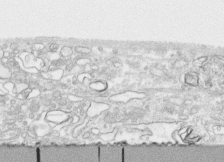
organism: Human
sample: CRL-1474